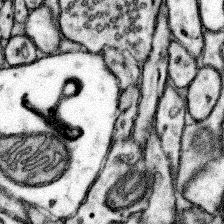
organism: Mouse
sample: Somatosensory cortex neuropil